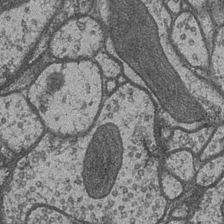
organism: Drosophila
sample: Optic medulla